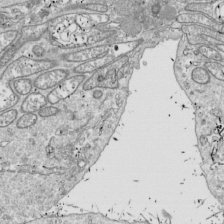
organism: Drosophila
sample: Cell division; meiosis; drosophila spermatocytes